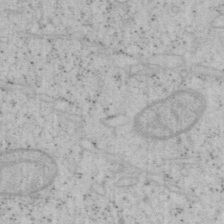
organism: Human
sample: HeLa cells